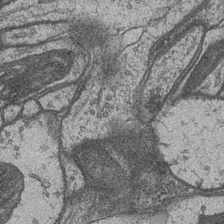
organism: Drosophila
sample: Optic medulla